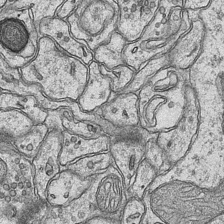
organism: Mouse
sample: CA1 Hippocampus